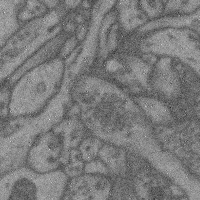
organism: Mouse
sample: Cerebral cortex